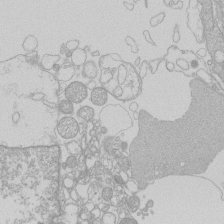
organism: Human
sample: Macrophage cells